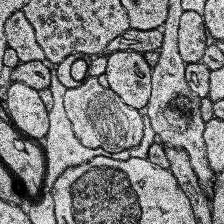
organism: Human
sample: Temporal Lobe